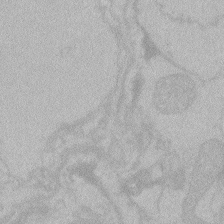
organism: Zebrafish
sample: Macrophage infected with Toxoplasma gondii